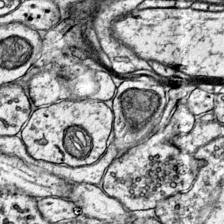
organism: Mouse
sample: Primary visual cortex